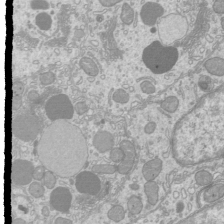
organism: Mouse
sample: Cilia; mouse epididymis